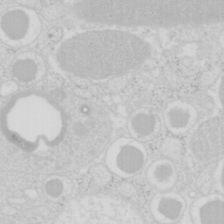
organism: Mouse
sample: Pancreas